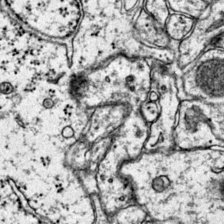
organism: Mouse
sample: Primary visual cortex